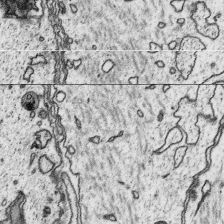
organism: Platynereis dumerilii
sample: Parapodia